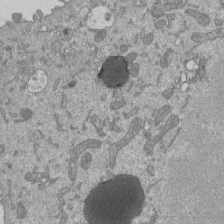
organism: Mouse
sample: ED-1 cell nuclei; centrioles